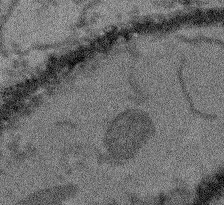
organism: Arabidopsis thaliana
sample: Root tip